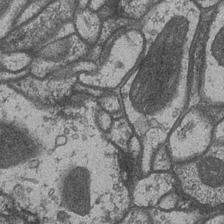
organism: Drosophila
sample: Optic medulla